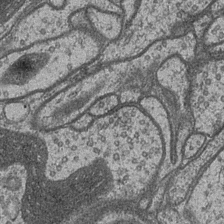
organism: Drosophila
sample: Optic medulla